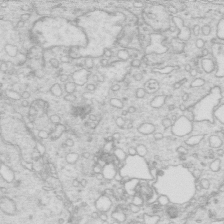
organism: Mouse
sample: Multiciliated cells